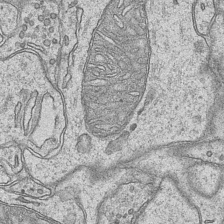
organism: Mouse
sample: CA1 Hippocampus